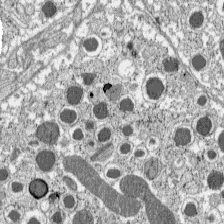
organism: C57BL Mouse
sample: Pancreatic islet